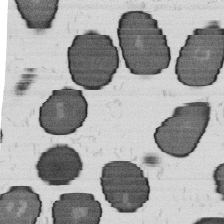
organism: B. subtilis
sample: Bacterial spore